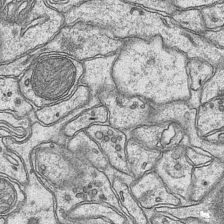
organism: Mouse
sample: CA1 Hippocampus